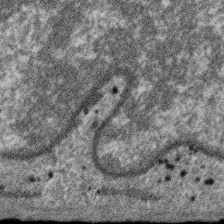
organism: Human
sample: Lung epithelial cells infected with SARS-CoV-2